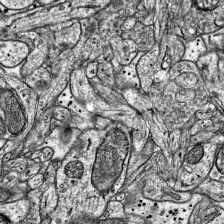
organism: Mouse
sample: Visual Cortex